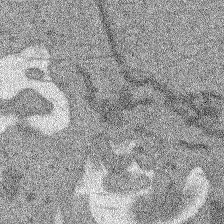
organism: Human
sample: HeLa cells